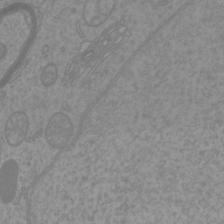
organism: Mouse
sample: Cortical neurons